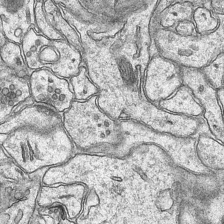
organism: Mouse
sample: CA1 Hippocampus